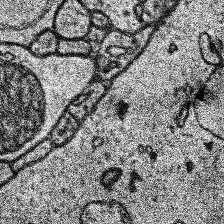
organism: Human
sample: Temporal Lobe